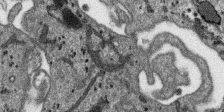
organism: Human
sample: Lung epithelial cells infected with SARS-CoV-2